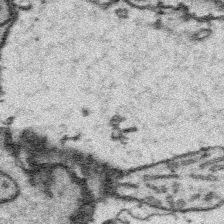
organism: Platynereis dumerilii